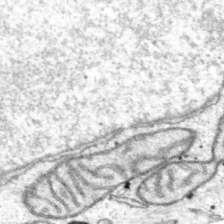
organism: Human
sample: HeLa cells